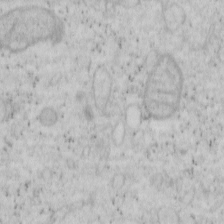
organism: Human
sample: HeLa cells